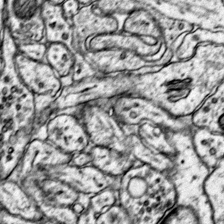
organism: Mouse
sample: Primary visual cortex